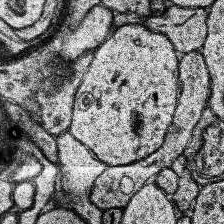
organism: Human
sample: Temporal Lobe